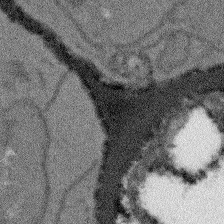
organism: Arabidopsis thaliana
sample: Root tip